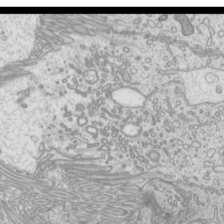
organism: Mouse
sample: Cilia; mouse epididymis